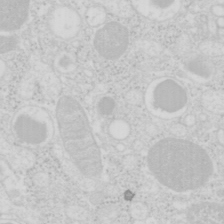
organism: Mouse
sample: Pancreas